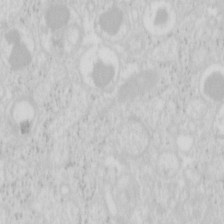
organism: Mouse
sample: Pancreas